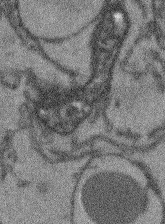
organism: Arabidopsis thaliana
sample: Root tip